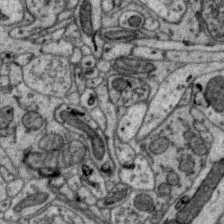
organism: Zebra finch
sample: Brain